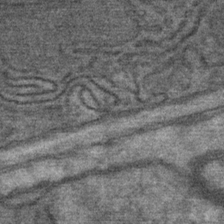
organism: Mouse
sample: Mouse Salivary gland